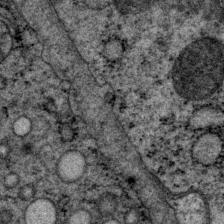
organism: P. pacificus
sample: Pharynx